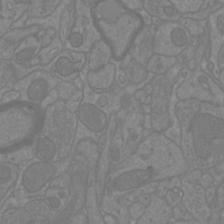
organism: Mouse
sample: Cortical neurons